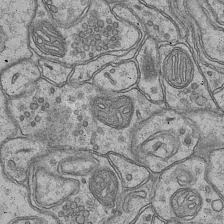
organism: Mouse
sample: CA1 Hippocampus